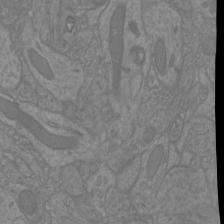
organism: Mouse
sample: Cortical neurons